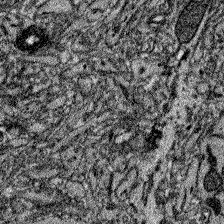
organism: Zebrafish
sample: Larval olfactory bulb